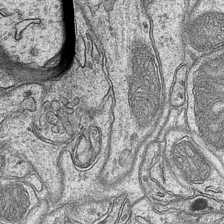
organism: Mouse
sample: CA1 Hippocampus